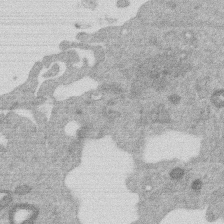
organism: Mouse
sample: Dividing mouse embryo 1 cell stage